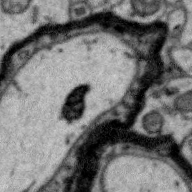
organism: Zebra finch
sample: Brain